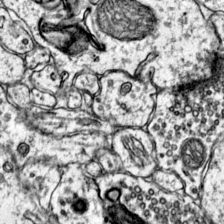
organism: Mouse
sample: Primary visual cortex